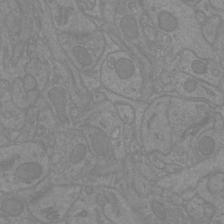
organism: Mouse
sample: Cortical neurons